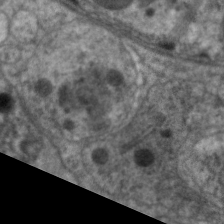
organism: C. elegans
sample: Pharynx